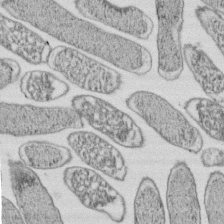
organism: E. coli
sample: Bacterial nucleoid